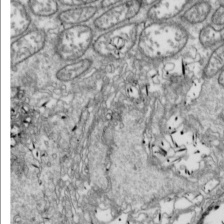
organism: Drosophila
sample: Cell division; meiosis; drosophila spermatocytes